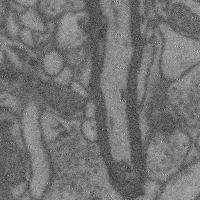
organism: Mouse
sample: Cerebral cortex